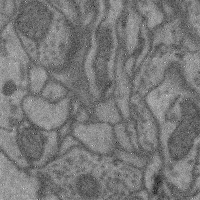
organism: Mouse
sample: Cerebral cortex